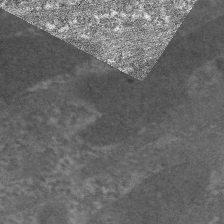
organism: C. elegans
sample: Pharynx